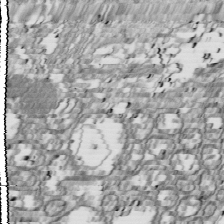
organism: Drosophila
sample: Cell division; meiosis; drosophila spermatocytes